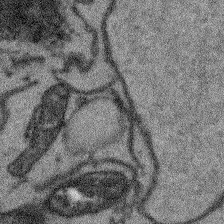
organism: Arabidopsis thaliana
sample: Root tip